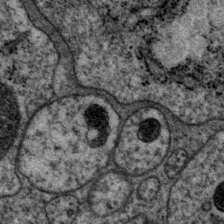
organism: P. pacificus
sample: Pharynx